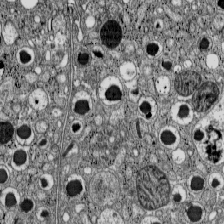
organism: C57BL Mouse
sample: Pancreatic islet